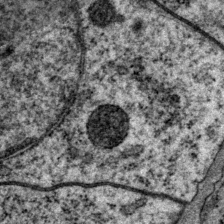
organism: P. pacificus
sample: Pharynx